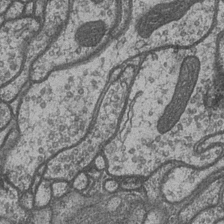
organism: Drosophila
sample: Optic medulla